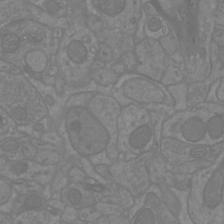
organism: Mouse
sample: Cortical neurons